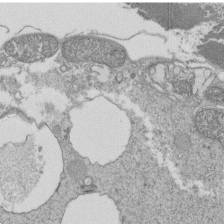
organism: Tetrahymena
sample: Cilia in tetrahymena